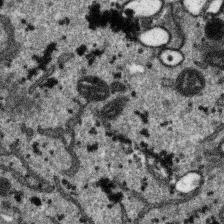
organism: Human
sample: Lung epithelial cells infected with SARS-CoV-2